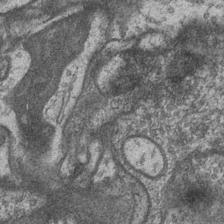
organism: Drosophila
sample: Optic medulla